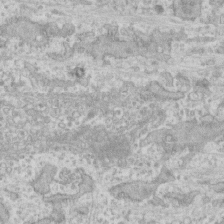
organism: Human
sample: CRL-1474